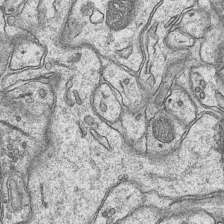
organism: Mouse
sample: CA1 Hippocampus